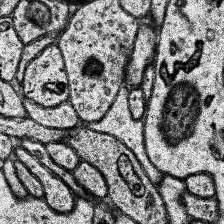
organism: Human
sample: Temporal Lobe